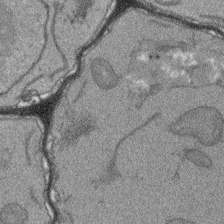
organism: Arabidopsis thaliana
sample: Root tip